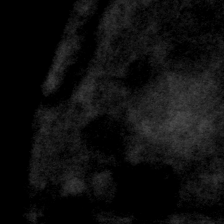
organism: C. elegans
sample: Pharynx